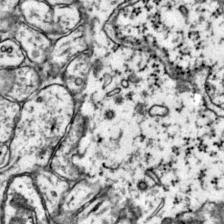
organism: Mouse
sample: Primary visual cortex